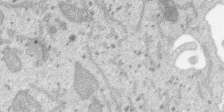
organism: Human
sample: Lung epithelial cells infected with SARS-CoV-2